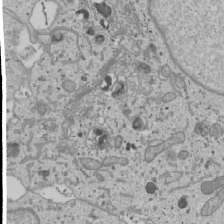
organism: Human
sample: Mitochondria in U2OS cells